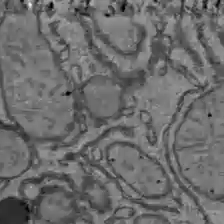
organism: C57BL Mouse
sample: Liver